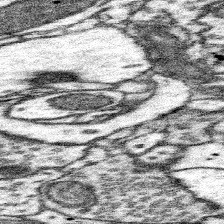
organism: Mouse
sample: Somatosensory cortex neuropil